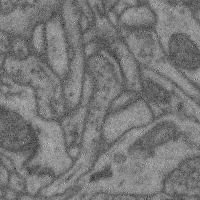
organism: Mouse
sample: Cerebral cortex